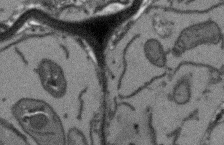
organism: Arabidopsis thaliana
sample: Root tip